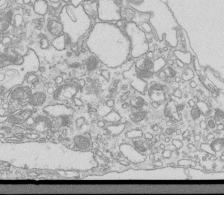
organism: Mouse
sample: Macrophages